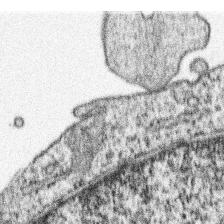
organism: Human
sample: HeLa cells